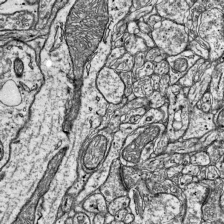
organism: Mouse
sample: Visual Cortex